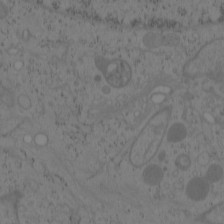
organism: Human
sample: HeLa cells